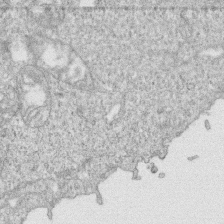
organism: Human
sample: HeLa cell HIV synapse